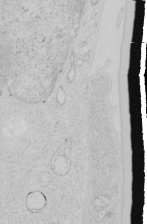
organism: Human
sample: Mitochondria in HCT116 cells